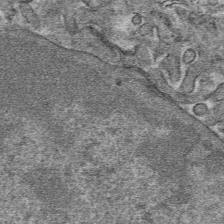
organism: Mouse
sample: Mouse hepatocytes